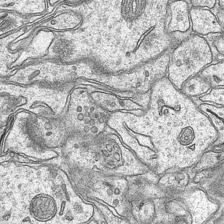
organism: Mouse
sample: CA1 Hippocampus